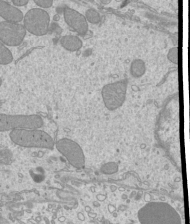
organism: Mouse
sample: Cilia; mouse epididymis